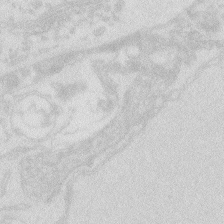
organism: Zebrafish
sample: Macrophage